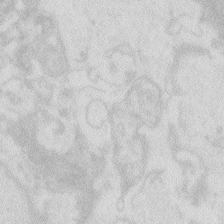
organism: Zebrafish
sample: Macrophage